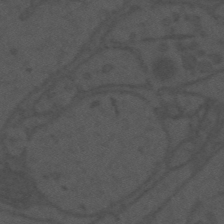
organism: Mouse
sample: Suprachiasmatic nucleus